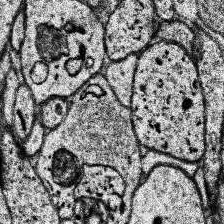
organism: Human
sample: Temporal Lobe